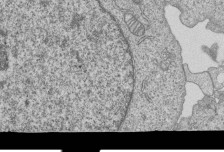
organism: Human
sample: MDA-MB-231 cells